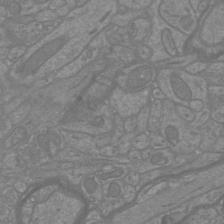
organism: Mouse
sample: Cortical neurons